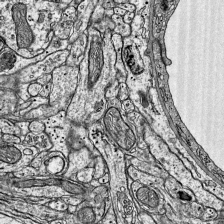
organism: Mouse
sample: Visual Cortex